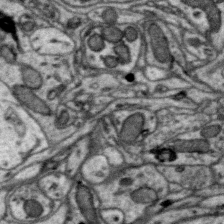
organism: Zebra finch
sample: Brain